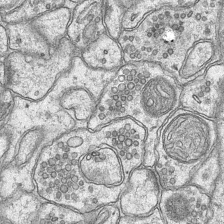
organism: Mouse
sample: CA1 Hippocampus